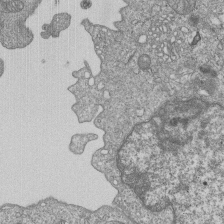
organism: Human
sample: MDA-MB-231 cells